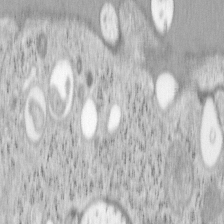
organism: Human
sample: HeLa cells